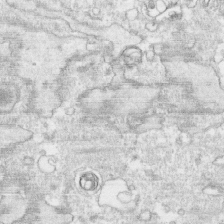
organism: Human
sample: CRL-1474